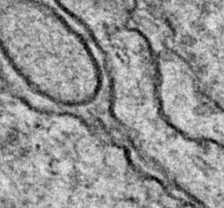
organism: Zebrafish